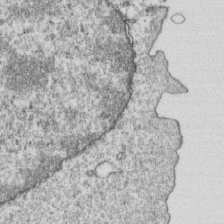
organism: Mouse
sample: Activated OT-1 CD8+ T cells